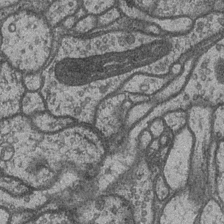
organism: Drosophila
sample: Optic medulla